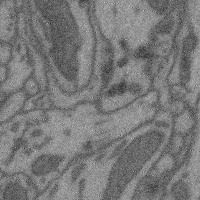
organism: Mouse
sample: Cerebral cortex